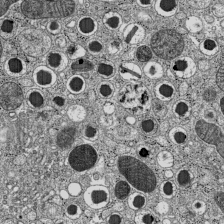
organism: C57BL Mouse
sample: Pancreatic islet